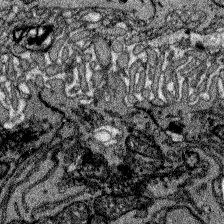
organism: Zebrafish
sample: Larval olfactory bulb